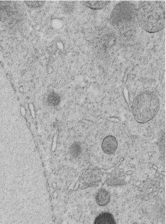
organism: C. elegans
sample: C. elegans embryo early stage